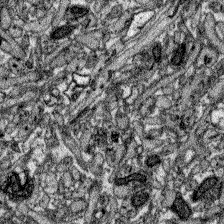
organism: Zebrafish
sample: Larval olfactory bulb